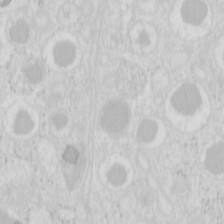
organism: Mouse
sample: Pancreas